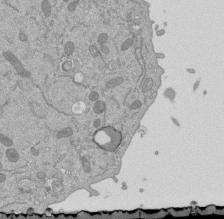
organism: Mouse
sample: ED-1 cell nuclei; centrioles